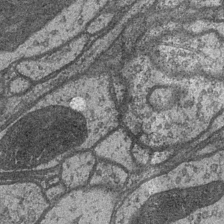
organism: Drosophila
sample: Optic medulla